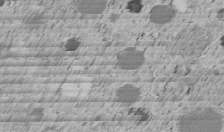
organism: C. elegans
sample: C. elegans embryo early stage